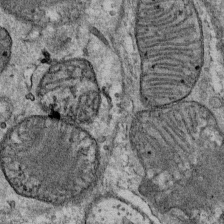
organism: Mouse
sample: Mouse Salivary gland